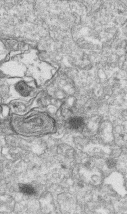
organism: Human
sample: HeLa cell HIV synapse